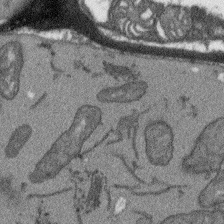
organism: Arabidopsis thaliana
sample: Root tip